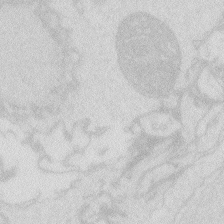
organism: Zebrafish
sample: Macrophage